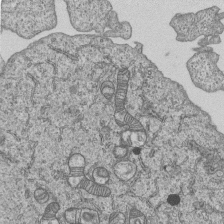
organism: Human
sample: MDA-MB-231 cells